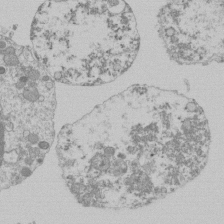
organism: Mouse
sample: Activated Pmel transgenic CD8+ T Cells